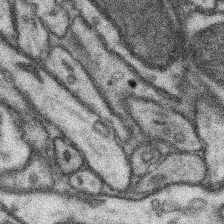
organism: Mouse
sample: Somatosensory cortex neuropil